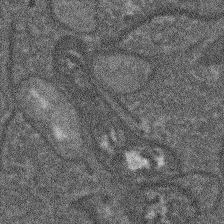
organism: Arabidopsis thaliana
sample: Root tip